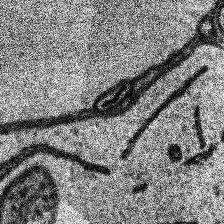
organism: Human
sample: Temporal Lobe